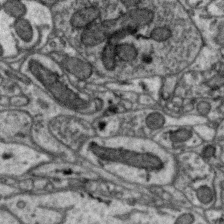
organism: Zebra finch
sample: Brain